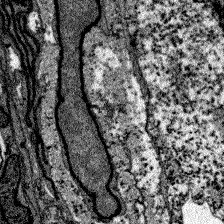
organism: Zebrafish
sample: Larval olfactory bulb